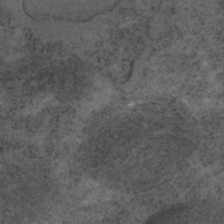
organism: C. elegans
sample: C. elegans embryo